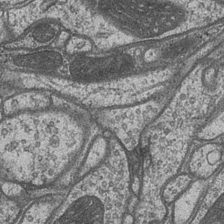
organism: Drosophila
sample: Optic medulla